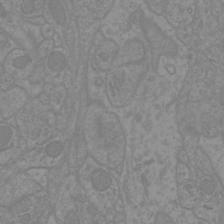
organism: Mouse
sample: Cortical neurons